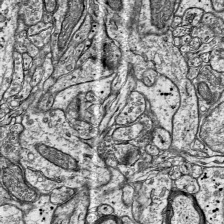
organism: Mouse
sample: Visual Cortex